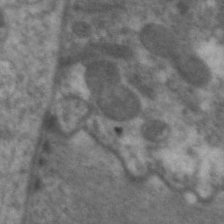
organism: C. elegans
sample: Pharynx